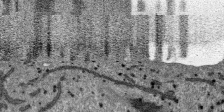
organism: Human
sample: Lung epithelial cells, uninfected (mock) control